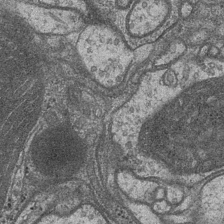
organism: Drosophila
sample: Optic medulla